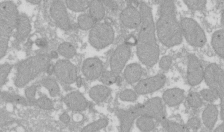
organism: Xenopus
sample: Cilia; centrioles in frog embryo cells